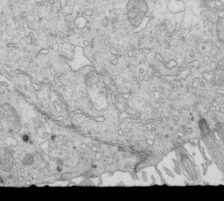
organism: Mouse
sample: Multiciliated cells